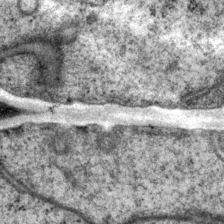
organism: P. pacificus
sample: Pharynx